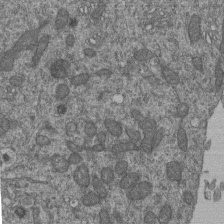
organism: Human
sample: Retinal organoid Rod and Cone cells